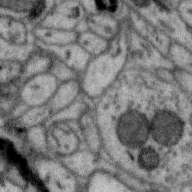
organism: Zebra finch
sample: Brain